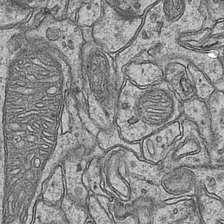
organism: Mouse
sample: CA1 Hippocampus